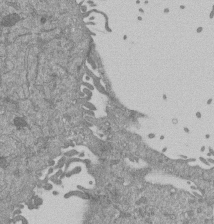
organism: Mouse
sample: ED-1 cell nuclei; centrioles